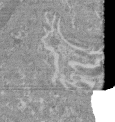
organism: Mouse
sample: Glomerulus